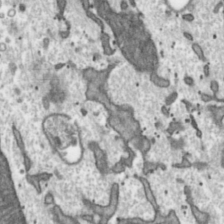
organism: Toxoplasma gondii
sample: Parasites in a vacuole inside a host cell